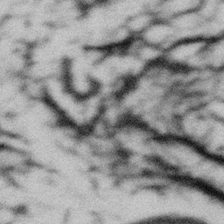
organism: Gemmata obscuriglobus